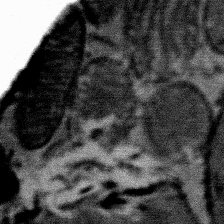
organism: Mouse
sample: Mouse Salivary gland